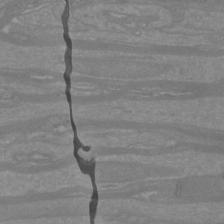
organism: Mouse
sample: Cortical neurons